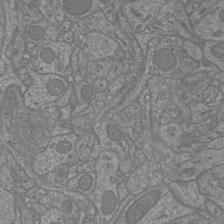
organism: Mouse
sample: Cortical neurons